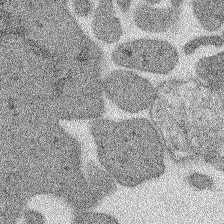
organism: Human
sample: HeLa cells